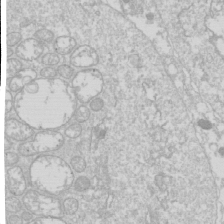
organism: Drosophila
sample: Cell division; meiosis; drosophila spermatocytes